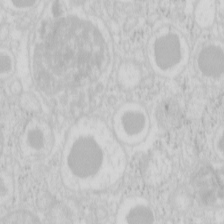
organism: Mouse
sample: Pancreas